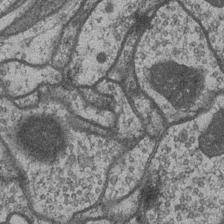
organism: Drosophila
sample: Optic medulla